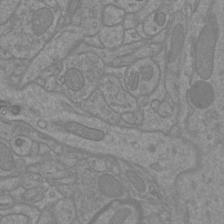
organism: Mouse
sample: Cortical neurons